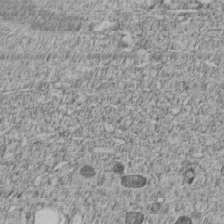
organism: C. elegans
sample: C. elegans embryo early stage